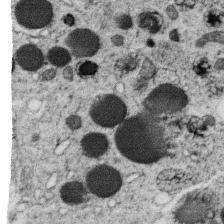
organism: C. elegans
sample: C. elegans oocyte; sperm cells